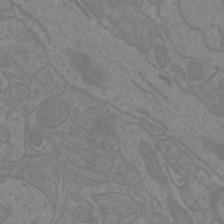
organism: Mouse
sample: Cortical neurons